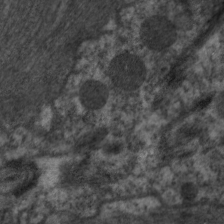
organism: C. elegans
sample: Pharynx